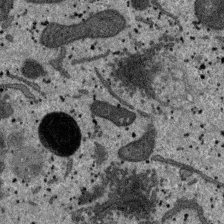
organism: Human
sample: Lung epithelial cells, uninfected (mock) control